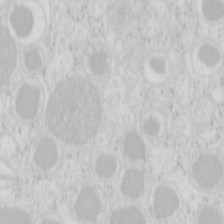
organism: Mouse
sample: Pancreas